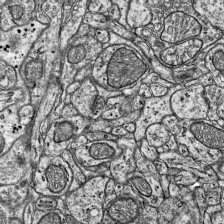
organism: Mouse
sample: Visual Cortex